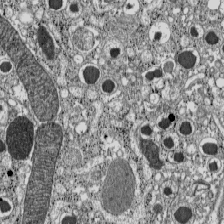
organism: C57BL Mouse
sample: Pancreatic islet